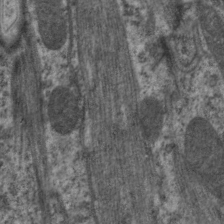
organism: C. elegans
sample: Pharynx